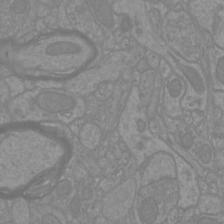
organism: Mouse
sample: Cortical neurons